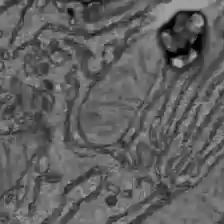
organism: C57BL Mouse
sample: Liver